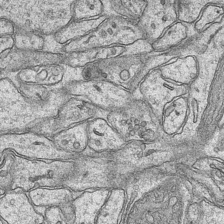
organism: Mouse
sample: CA1 Hippocampus